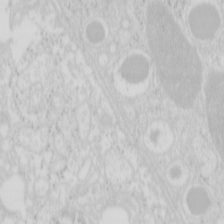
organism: Mouse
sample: Pancreas